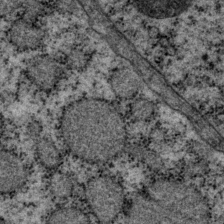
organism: P. pacificus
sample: Pharynx